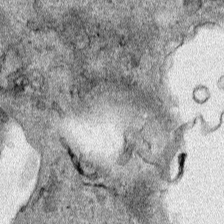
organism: Human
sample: Mitochondria in HCT116 cells